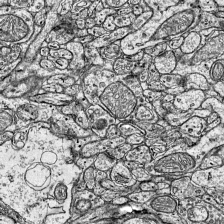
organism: Mouse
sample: Visual Cortex